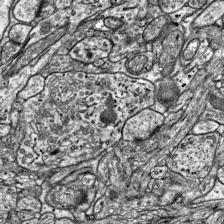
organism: Mouse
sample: Visual Cortex